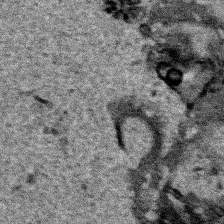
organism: Human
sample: Mitochondria in HCT116 cells